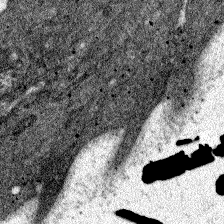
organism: Zebrafish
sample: Larval olfactory bulb